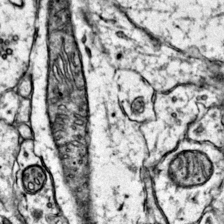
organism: Mouse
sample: Primary visual cortex